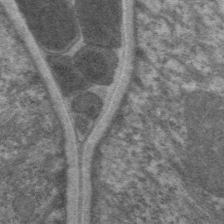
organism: C. elegans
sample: Pharynx